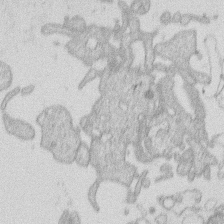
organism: Human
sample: Macrophage cells